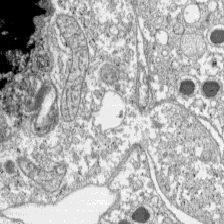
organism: C57BL Mouse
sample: Pancreatic islet